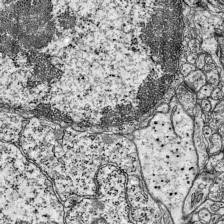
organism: Mouse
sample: Visual Cortex